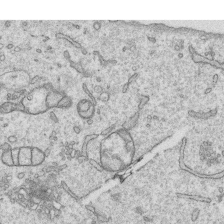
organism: Human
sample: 1205lu cells